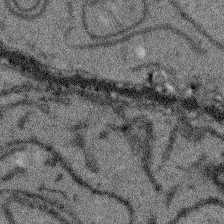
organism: Arabidopsis thaliana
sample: Root tip